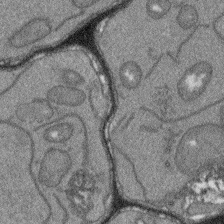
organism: Arabidopsis thaliana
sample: Root tip